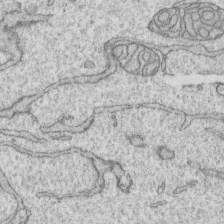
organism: Human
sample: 1205lu cells